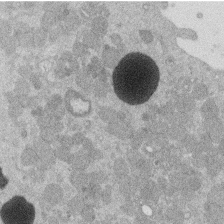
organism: Mouse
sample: Dividing mouse embryo 1 cell stage